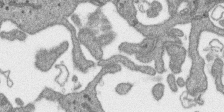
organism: Human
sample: Lung epithelial cells infected with SARS-CoV-2